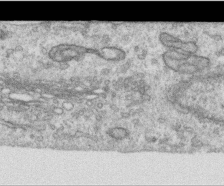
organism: Human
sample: Centriole in RPE cells